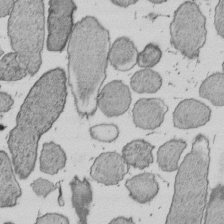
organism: E. coli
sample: Bacterial nucleoid